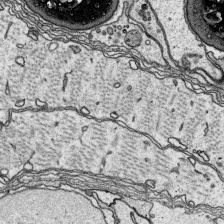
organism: Platynereis dumerilii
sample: Parapodia